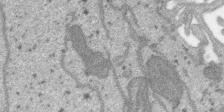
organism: Human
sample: Lung epithelial cells infected with SARS-CoV-2